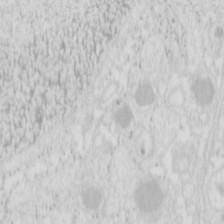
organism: Mouse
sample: Pancreas